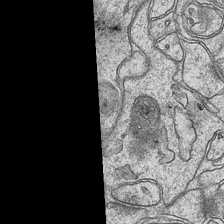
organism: Mouse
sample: CA1 Hippocampus